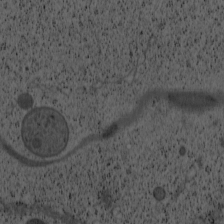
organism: African green monkey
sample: COS-7 cells